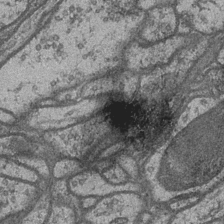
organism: Drosophila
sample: Optic medulla